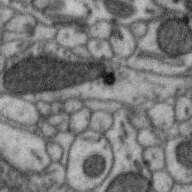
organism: Zebra finch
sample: Brain